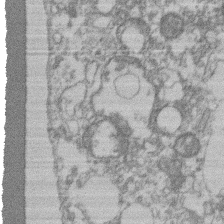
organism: Mouse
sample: T cell stromal cell synapse